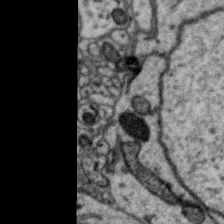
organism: Zebra finch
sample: Brain